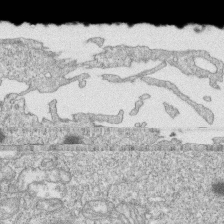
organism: Human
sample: HeLa cell HIV synapse